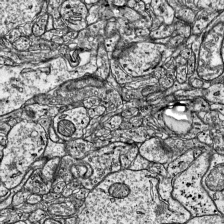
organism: Mouse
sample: Visual Cortex